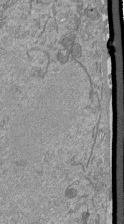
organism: Mouse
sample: ED-1 cell nuclei; centrioles